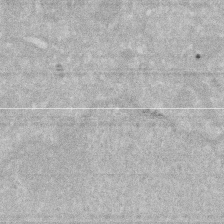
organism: Human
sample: HIV infected U937 cells